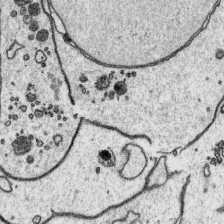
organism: Platynereis dumerilii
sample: Parapodia